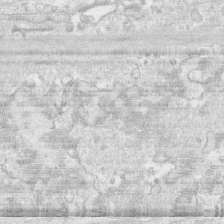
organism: Human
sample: CRL-1474